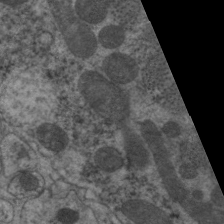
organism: C. elegans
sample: Pharynx